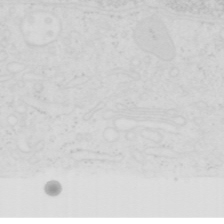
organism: Human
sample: SUM-159 cell